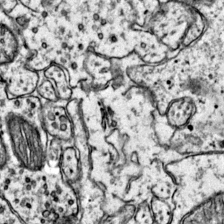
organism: Mouse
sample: Primary visual cortex